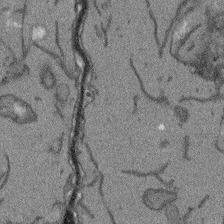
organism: Arabidopsis thaliana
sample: Root tip